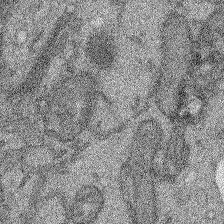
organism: Human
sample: HeLa cells